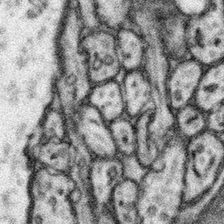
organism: Mouse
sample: Somatosensory cortex neuropil